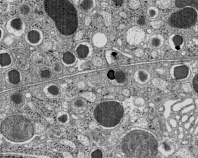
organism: C57BL Mouse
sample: Pancreatic islet